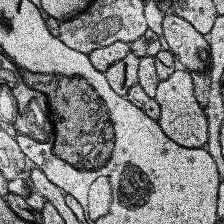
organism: Human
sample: Temporal Lobe